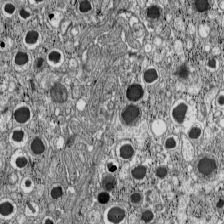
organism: C57BL Mouse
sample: Pancreatic islet